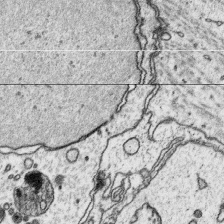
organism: Platynereis dumerilii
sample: Parapodia